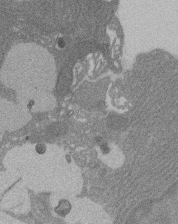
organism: Rat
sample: Salivary granule